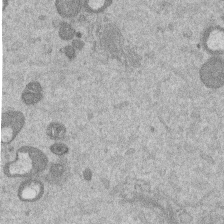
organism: Mouse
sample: Dividing mouse embryo 1 cell stage